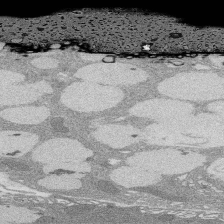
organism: Rat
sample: Salivary granule